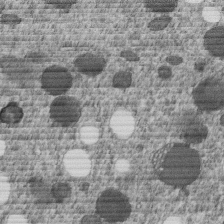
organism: C. elegans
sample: C. elegans embryo early stage